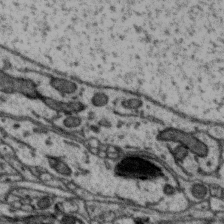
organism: Zebra finch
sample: Brain